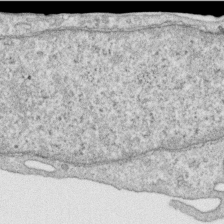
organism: Human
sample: Centriole in RPE cells